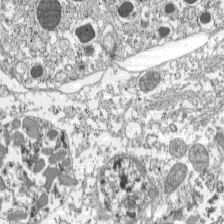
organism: C57BL Mouse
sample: Pancreatic islet